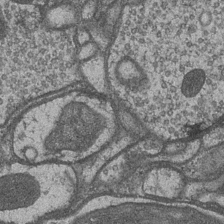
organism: Drosophila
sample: Optic medulla